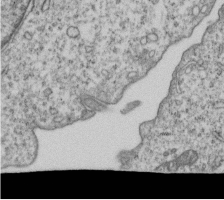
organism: Human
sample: MDA-MB-231 cells